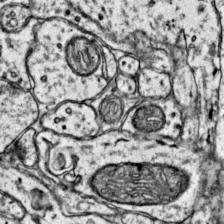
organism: Mouse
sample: Primary visual cortex